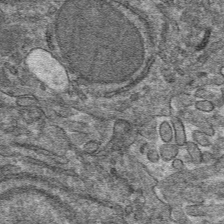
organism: Mouse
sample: Mouse hepatocytes